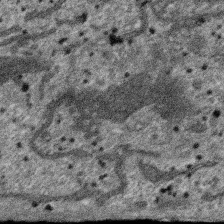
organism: Human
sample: Lung epithelial cells infected with SARS-CoV-2